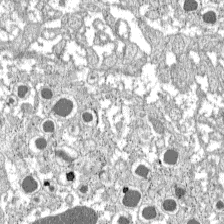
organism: C57BL Mouse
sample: Pancreatic islet